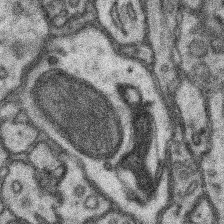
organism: Mouse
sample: Somatosensory cortex neuropil